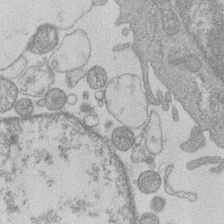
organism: Human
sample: Macrophage cells